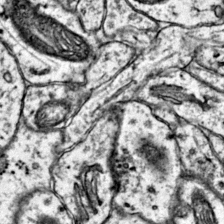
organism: Mouse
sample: Primary visual cortex